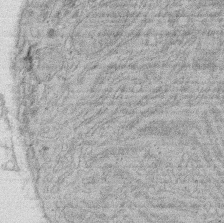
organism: Rat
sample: Salivary granule